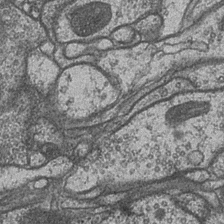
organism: Drosophila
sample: Optic medulla